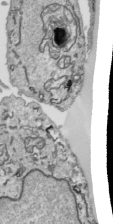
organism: Human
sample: Mitochondria in HCT116 cells